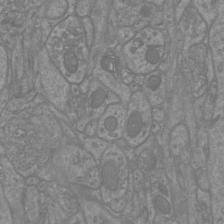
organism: Mouse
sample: Cortical neurons